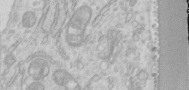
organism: Human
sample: Centriole in RPE cells